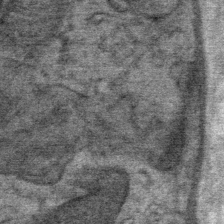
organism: Mouse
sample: Mouse Salivary gland